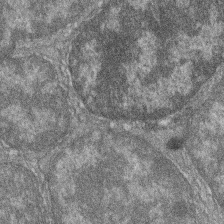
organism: Zebrafish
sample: Cilia; retinal pigment epithelium